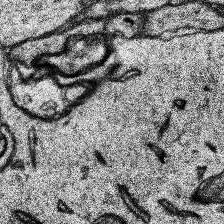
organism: Human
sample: Temporal Lobe